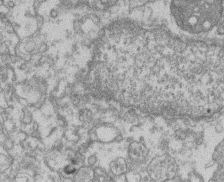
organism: Mouse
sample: T cell stromal cell synapse